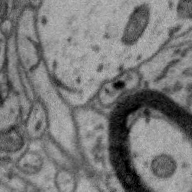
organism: Zebra finch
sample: Brain